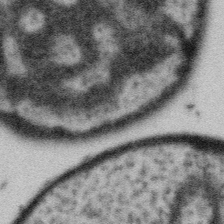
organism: Gemmata obscuriglobus